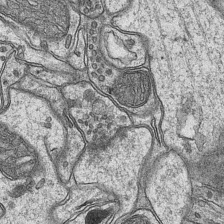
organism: Mouse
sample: CA1 Hippocampus